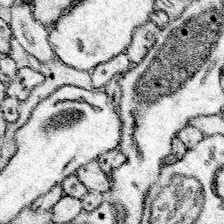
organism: Mouse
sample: Somatosensory cortex neuropil